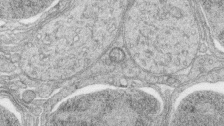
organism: Zebrafish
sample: synaptic ribbons in rod cells and cone cells